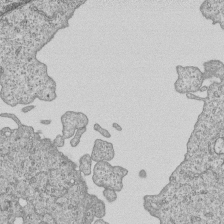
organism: Human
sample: MDA-MB-231 cells